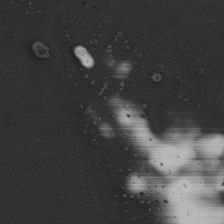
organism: Mouse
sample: Cilia; mouse epididymis